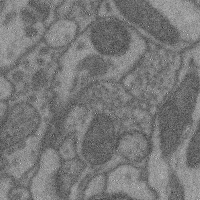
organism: Mouse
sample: Cerebral cortex